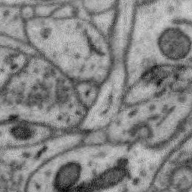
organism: Zebra finch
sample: Brain